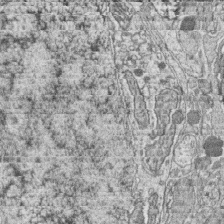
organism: Zebrafish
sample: synaptic ribbons in rod cells and cone cells